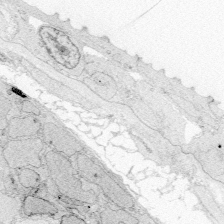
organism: Zebrafish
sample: Whole-Brain